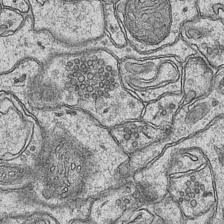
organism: Mouse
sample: CA1 Hippocampus